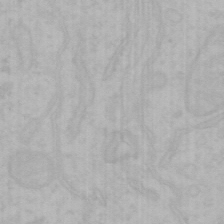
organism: Mouse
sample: Choroid plexus